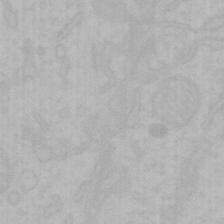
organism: Mouse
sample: Choroid plexus